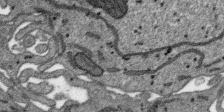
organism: Human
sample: Lung epithelial cells, uninfected (mock) control